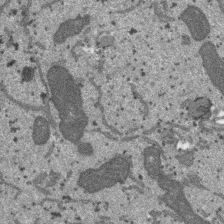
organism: Human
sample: Lung epithelial cells infected with SARS-CoV-2